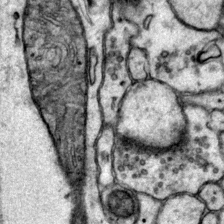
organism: Mouse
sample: Primary visual cortex